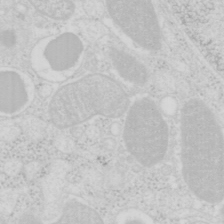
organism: Mouse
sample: Pancreas